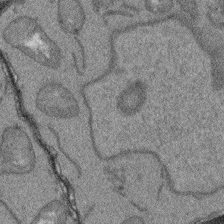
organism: Arabidopsis thaliana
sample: Root tip